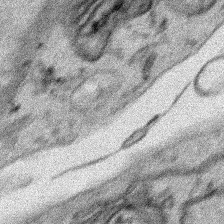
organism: Human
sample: Mitochondria in HCT116 cells